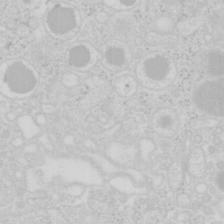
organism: Mouse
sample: Pancreas